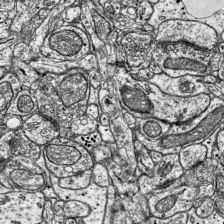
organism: Mouse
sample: Visual Cortex